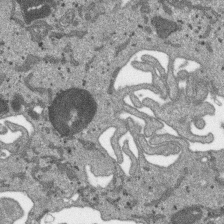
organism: Human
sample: Lung epithelial cells infected with SARS-CoV-2